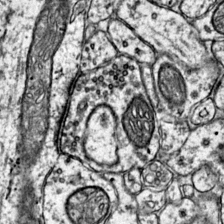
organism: Mouse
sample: Primary visual cortex